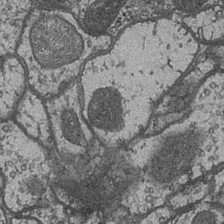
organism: Drosophila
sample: Optic medulla